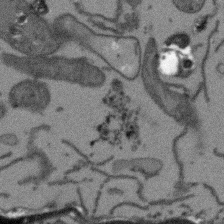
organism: Arabidopsis thaliana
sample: Root tip